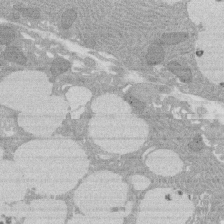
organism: Rat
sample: Salivary granule